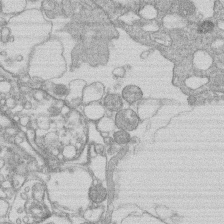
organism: Human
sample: Macrophage cells